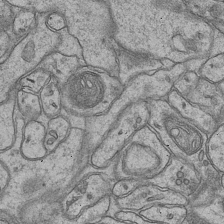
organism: Mouse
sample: CA1 Hippocampus